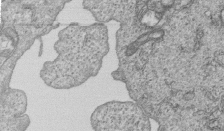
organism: Human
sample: MDA-MB-231 cells